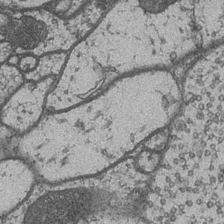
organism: Drosophila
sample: Optic medulla